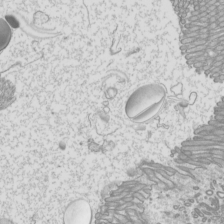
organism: Mouse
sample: Cilia; mouse epididymis